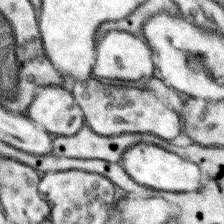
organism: Mouse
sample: Somatosensory cortex neuropil